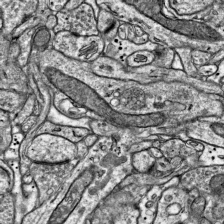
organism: Mouse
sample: Visual Cortex